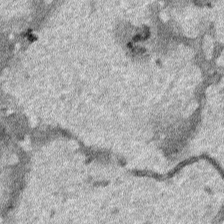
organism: Human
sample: Mitochondria in HCT116 cells